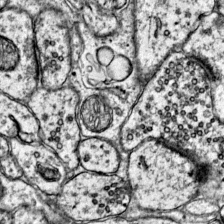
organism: Mouse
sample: Primary visual cortex